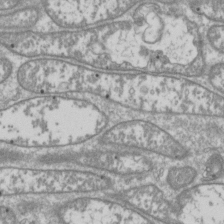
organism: Drosophila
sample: Cell division; meiosis; drosophila spermatocytes